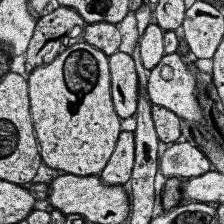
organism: Human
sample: Temporal Lobe